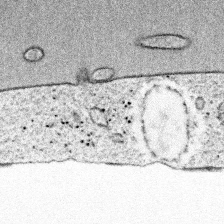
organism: Human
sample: HeLa cells